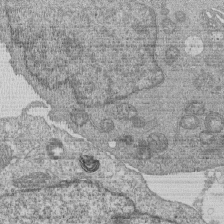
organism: Human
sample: MDA-MB-231 cells